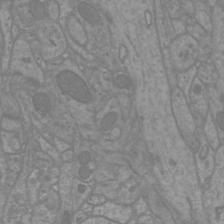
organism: Mouse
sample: Cortical neurons